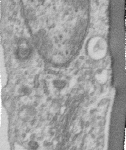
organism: Human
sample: Centriole in RPE cells